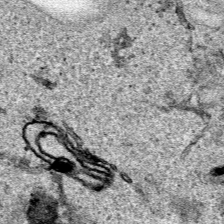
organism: Human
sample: Mitochondria in HCT116 cells